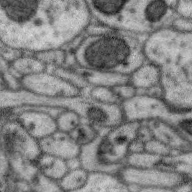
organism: Zebra finch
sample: Brain